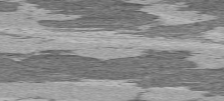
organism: C57BL Mouse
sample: Heart